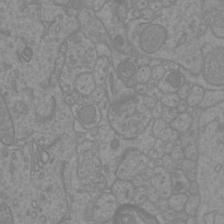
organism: Mouse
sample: Cortical neurons